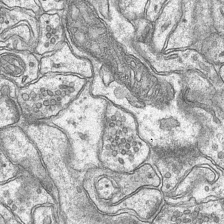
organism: Mouse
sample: CA1 Hippocampus